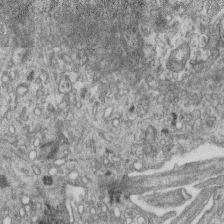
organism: Mouse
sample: Centriole in ependymal cells